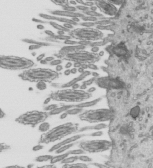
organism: Mouse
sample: Mouse epididymis efferent ductule cilia